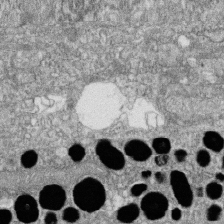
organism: Zebrafish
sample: Cilia; retinal pigment epithelium